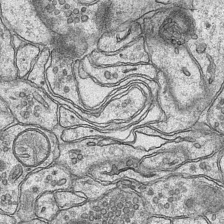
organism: Mouse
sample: CA1 Hippocampus